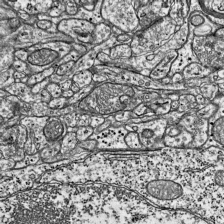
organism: Mouse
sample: Visual Cortex